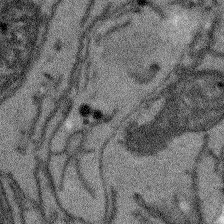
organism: Arabidopsis thaliana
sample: Root tip